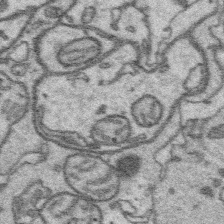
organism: Platynereis dumerilii